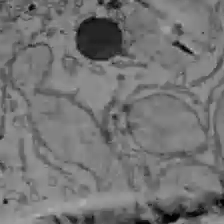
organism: C57BL Mouse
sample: Liver